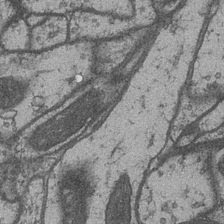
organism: Drosophila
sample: Optic medulla